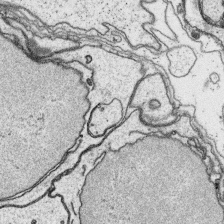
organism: Platynereis dumerilii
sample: Parapodia